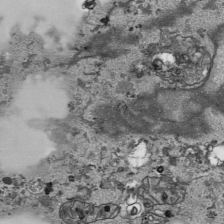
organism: Human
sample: Mitochondria in HCT116 cells